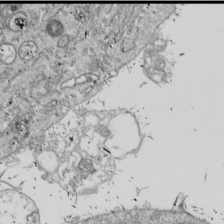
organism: Drosophila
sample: Cell division; meiosis; drosophila spermatocytes